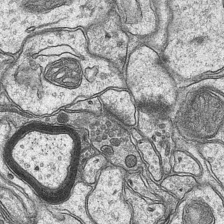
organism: Mouse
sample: CA1 Hippocampus